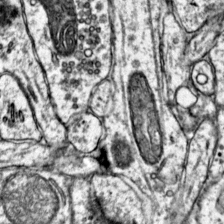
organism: Mouse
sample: Primary visual cortex